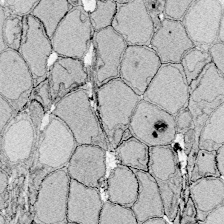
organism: Zebrafish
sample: Whole-Brain